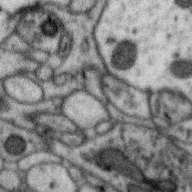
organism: Zebra finch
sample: Brain